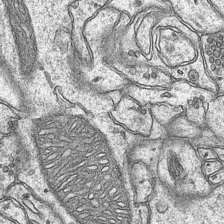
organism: Mouse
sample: CA1 Hippocampus